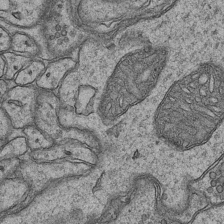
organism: Mouse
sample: CA1 Hippocampus